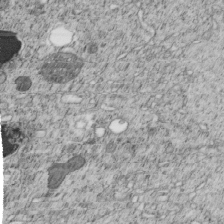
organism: C. elegans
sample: C. elegans embryo early stage